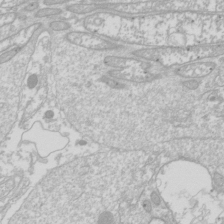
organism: Drosophila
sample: Cell division; meiosis; drosophila spermatocytes